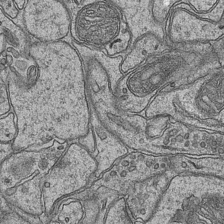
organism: Mouse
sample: CA1 Hippocampus